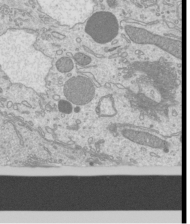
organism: Mouse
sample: Cilia; mouse epididymis